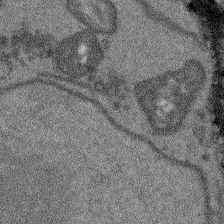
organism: Arabidopsis thaliana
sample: Root tip